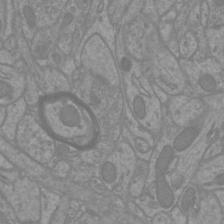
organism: Mouse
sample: Cortical neurons